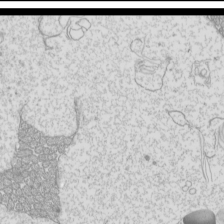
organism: Mouse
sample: Cilia; mouse epididymis